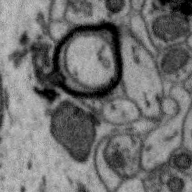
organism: Zebra finch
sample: Brain